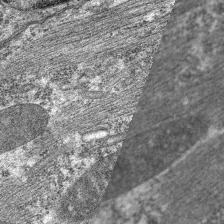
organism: C. elegans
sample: Pharynx